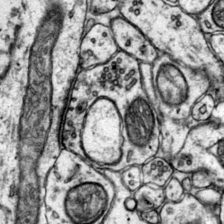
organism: Mouse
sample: Primary visual cortex